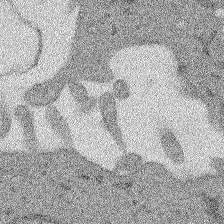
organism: Human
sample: HeLa cells